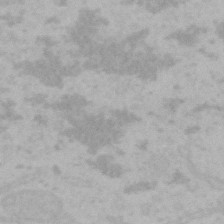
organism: Mouse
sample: Choroid plexus